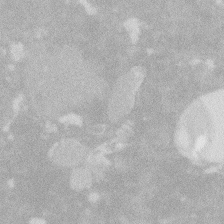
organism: Zebrafish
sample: Macrophage